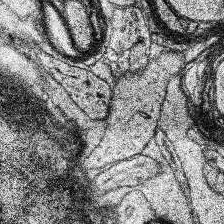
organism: Human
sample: Temporal Lobe